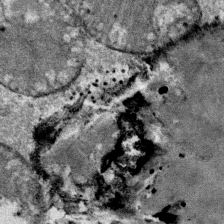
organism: Mouse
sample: Mouse Salivary gland